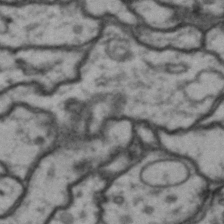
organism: Drosophila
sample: Brain